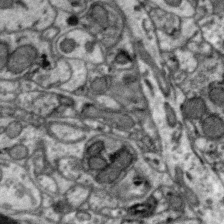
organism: Zebra finch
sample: Brain